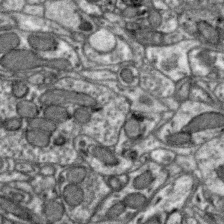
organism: Zebra finch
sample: Brain